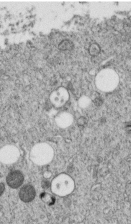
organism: C. elegans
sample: C. elegans embryo early stage